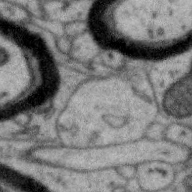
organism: Zebra finch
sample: Brain